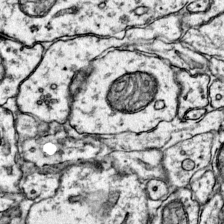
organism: Mouse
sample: Primary visual cortex